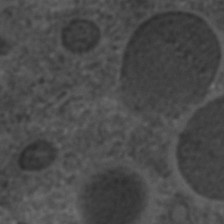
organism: C. elegans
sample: C. elegans embryo